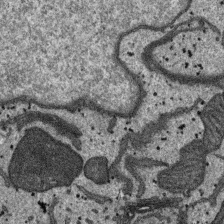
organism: Human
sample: Lung epithelial cells, uninfected (mock) control